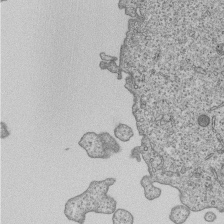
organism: Human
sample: MDA-MB-231 cells